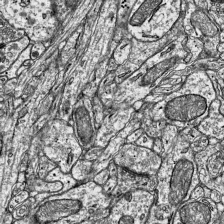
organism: Mouse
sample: Visual Cortex